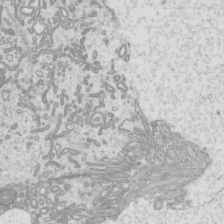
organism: Mouse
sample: Cilia; mouse epididymis